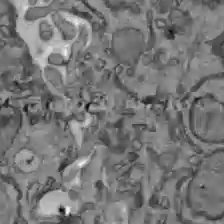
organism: C57BL Mouse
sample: Liver